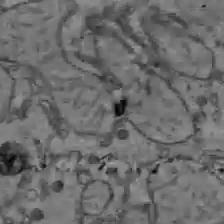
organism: C57BL Mouse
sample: Liver